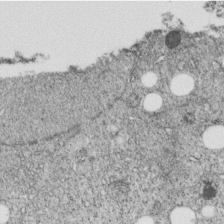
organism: C. elegans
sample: C. elegans embryo early stage